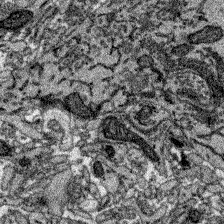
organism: Zebrafish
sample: Larval olfactory bulb